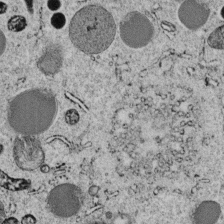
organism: C. elegans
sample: C. elegans embryo early stage